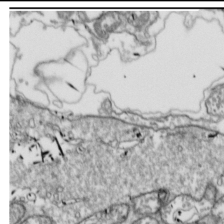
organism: Drosophila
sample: Cell division; meiosis; drosophila spermatocytes